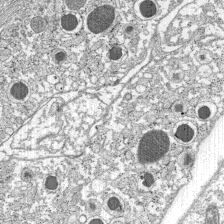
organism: C57BL Mouse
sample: Pancreatic islet